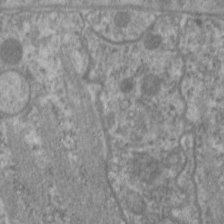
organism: C. elegans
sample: Pharynx